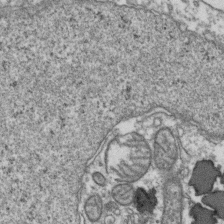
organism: Human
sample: Activated Jurkat CD4+ T cells